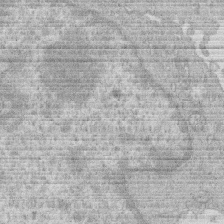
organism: Human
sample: Macrophage cells